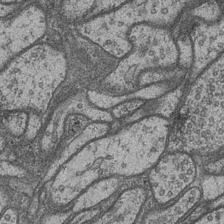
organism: Drosophila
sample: Optic medulla